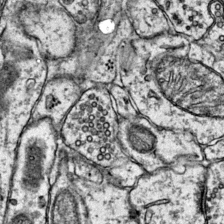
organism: Mouse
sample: Primary visual cortex